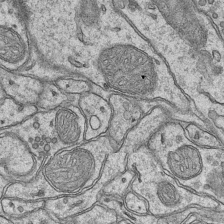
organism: Mouse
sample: CA1 Hippocampus